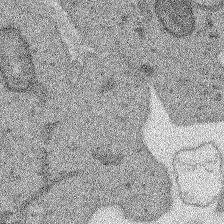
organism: Human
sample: HeLa cells